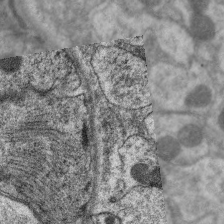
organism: C. elegans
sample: Pharynx